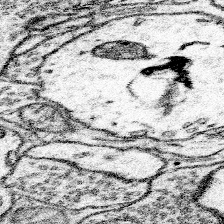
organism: Mouse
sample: Somatosensory cortex neuropil